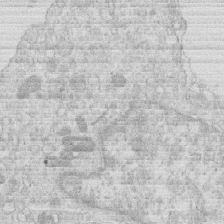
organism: Human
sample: Macrophage cells